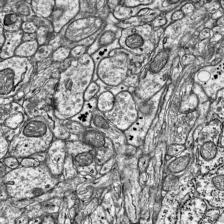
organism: Mouse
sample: Visual Cortex